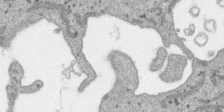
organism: Human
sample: Lung epithelial cells infected with SARS-CoV-2